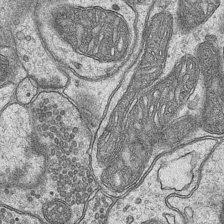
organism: Mouse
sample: CA1 Hippocampus